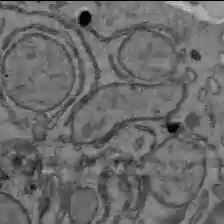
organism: C57BL Mouse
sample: Liver